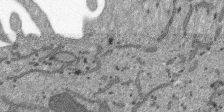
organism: Human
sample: Lung epithelial cells infected with SARS-CoV-2